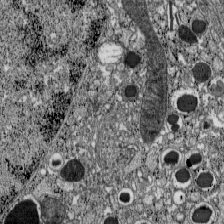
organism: C57BL Mouse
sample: Pancreatic islet